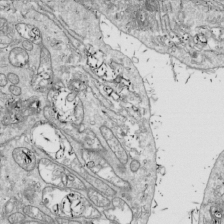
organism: Drosophila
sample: Cell division; meiosis; drosophila spermatocytes